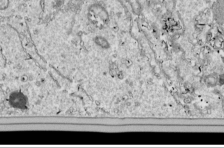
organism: Drosophila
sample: Cell division; meiosis; drosophila spermatocytes